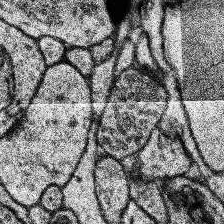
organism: Human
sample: Temporal Lobe